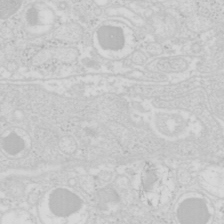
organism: Mouse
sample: Pancreas